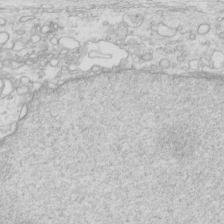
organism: Mouse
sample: Multiciliated cells